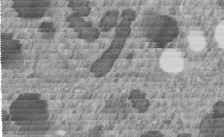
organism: C. elegans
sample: C. elegans embryo early stage